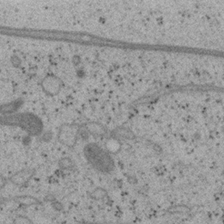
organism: Human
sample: HeLa cells